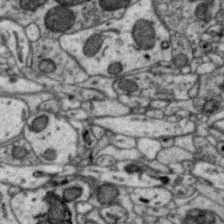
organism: Zebra finch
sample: Brain